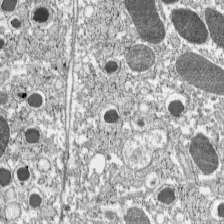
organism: C57BL Mouse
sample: Pancreatic islet